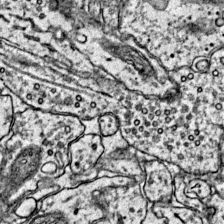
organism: Mouse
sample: Primary visual cortex